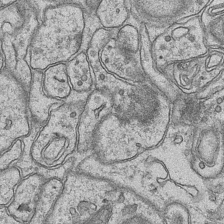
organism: Mouse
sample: CA1 Hippocampus